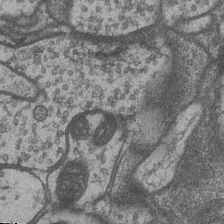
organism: Drosophila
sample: Optic medulla